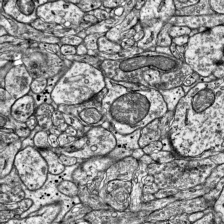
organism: Mouse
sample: Visual Cortex